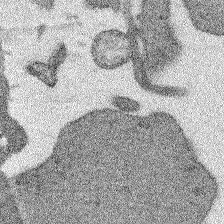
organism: Human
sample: HeLa cells